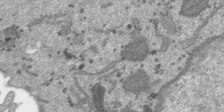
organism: Human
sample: Lung epithelial cells infected with SARS-CoV-2